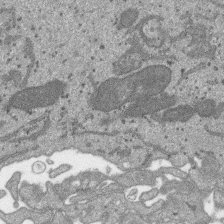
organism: Human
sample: Lung epithelial cells infected with SARS-CoV-2